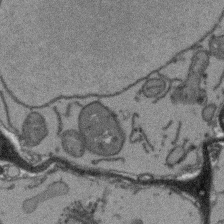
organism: Arabidopsis thaliana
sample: Root tip